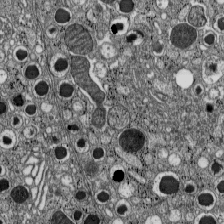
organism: C57BL Mouse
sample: Pancreatic islet